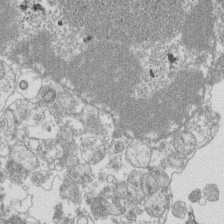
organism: Human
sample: HeLa cell HIV synapse